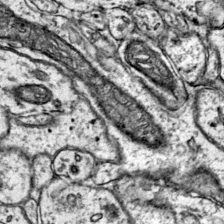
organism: Mouse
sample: Primary visual cortex